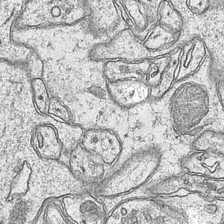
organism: Mouse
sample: CA1 Hippocampus